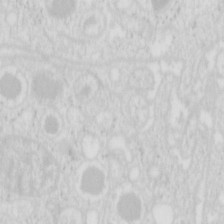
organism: Mouse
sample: Pancreas